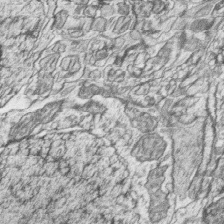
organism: Zebrafish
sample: synaptic ribbons in rod cells and cone cells